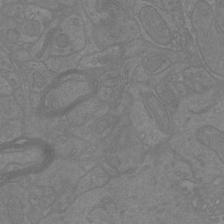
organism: Mouse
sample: Cortical neurons